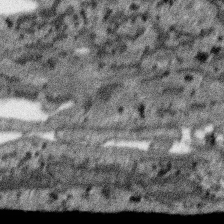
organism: Human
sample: Lung epithelial cells infected with SARS-CoV-2